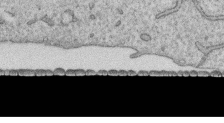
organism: Human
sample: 1205lu cells